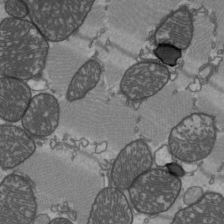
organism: C57BL Mouse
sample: Heart